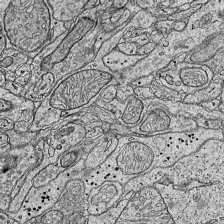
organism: Mouse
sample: Visual Cortex